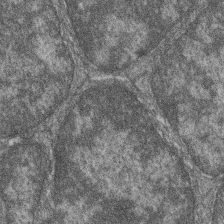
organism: Zebrafish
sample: Cilia; retinal pigment epithelium